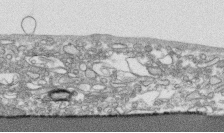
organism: Human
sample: CRL-1474